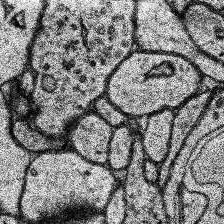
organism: Human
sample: Temporal Lobe